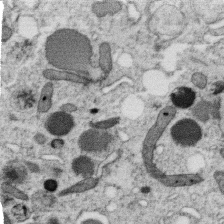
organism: C. elegans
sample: C. elegans oocyte; sperm cells